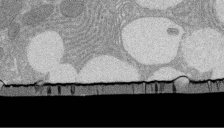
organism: Rat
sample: Salivary granule